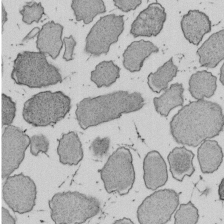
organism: E. coli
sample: Bacterial nucleoid